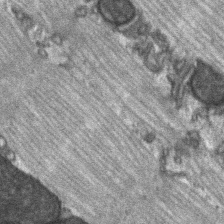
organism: C57BL Mouse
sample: Soleus